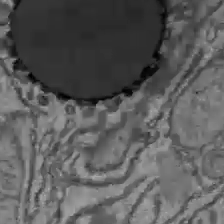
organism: C57BL Mouse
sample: Liver